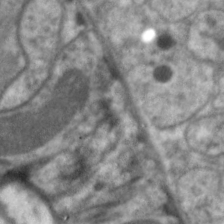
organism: C. elegans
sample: Pharynx